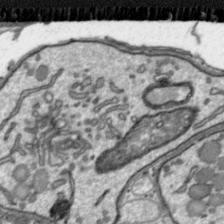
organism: Toxoplasma gondii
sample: Parasites in a vacuole inside a host cell